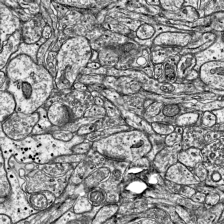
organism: Mouse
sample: Visual Cortex